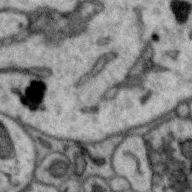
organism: Zebra finch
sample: Brain